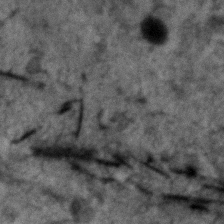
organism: Human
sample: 1205lu cells